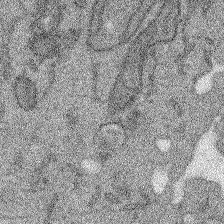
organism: Human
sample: HeLa cells